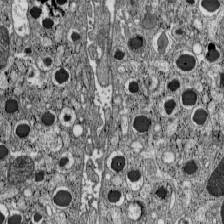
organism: C57BL Mouse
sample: Pancreatic islet